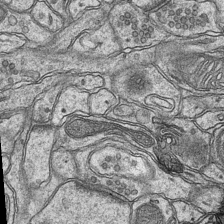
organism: Mouse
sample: CA1 Hippocampus